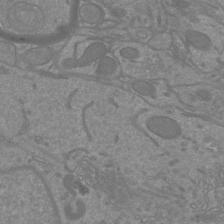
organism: Mouse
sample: Cortical neurons